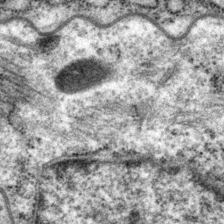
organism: P. pacificus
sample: Pharynx